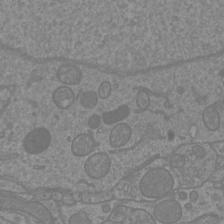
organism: Mouse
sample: Cortical neurons